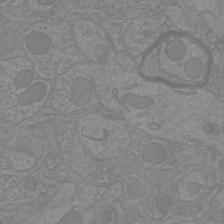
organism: Mouse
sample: Cortical neurons